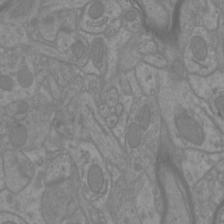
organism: Mouse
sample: Cortical neurons